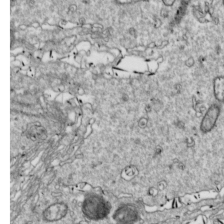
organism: Drosophila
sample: Cell division; meiosis; drosophila spermatocytes